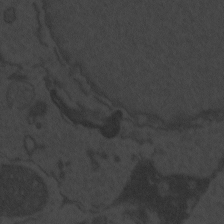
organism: Zebrafish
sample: Macrophage infected with Toxoplasma gondii